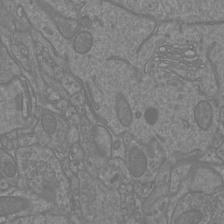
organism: Mouse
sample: Cortical neurons